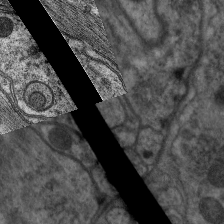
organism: C. elegans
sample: Pharynx